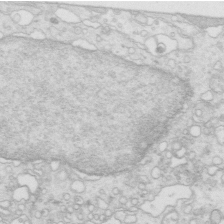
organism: Mouse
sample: Multiciliated cells